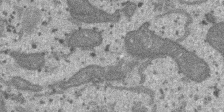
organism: Human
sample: Lung epithelial cells infected with SARS-CoV-2